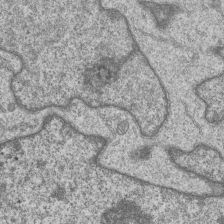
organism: Human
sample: MDA-MB-231 cells